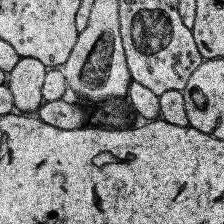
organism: Human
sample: Temporal Lobe